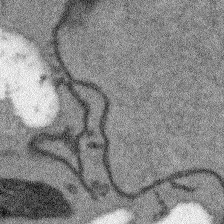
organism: Arabidopsis thaliana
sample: Root tip